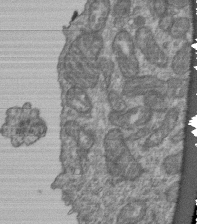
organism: Human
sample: Retinal organoid Rod and Cone cells